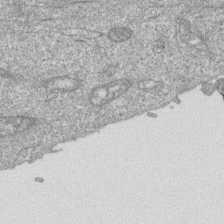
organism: Human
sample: HeLa cell HIV synapse